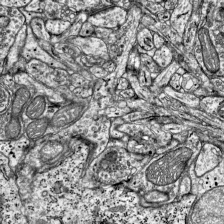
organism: Mouse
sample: Visual Cortex